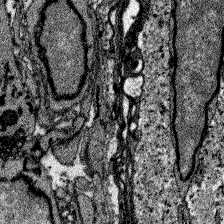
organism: Zebrafish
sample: Larval olfactory bulb